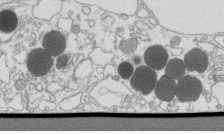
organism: Mouse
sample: Macrophages